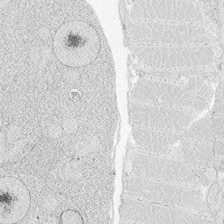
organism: Zebrafish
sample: Whole-Brain